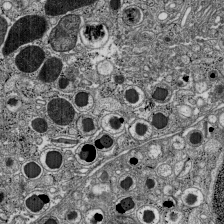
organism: C57BL Mouse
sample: Pancreatic islet